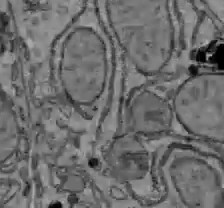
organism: C57BL Mouse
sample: Liver